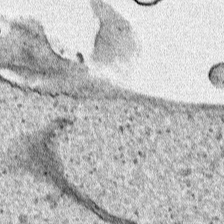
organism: Human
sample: Mitochondria in HCT116 cells